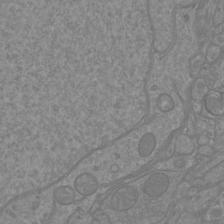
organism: Mouse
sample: Cortical neurons